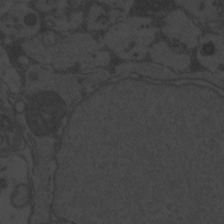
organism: Zebrafish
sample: Macrophage infected with Toxoplasma gondii